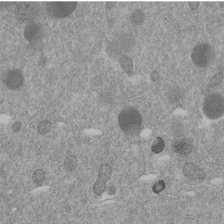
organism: C. elegans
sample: C. elegans embryo early stage